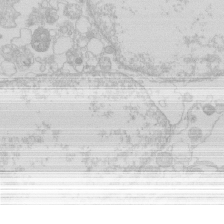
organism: Human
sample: Macrophage cells